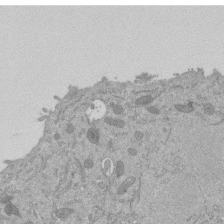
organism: Mouse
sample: ED-1 cell nuclei; centrioles